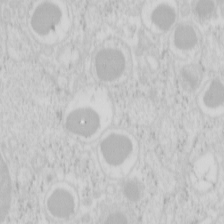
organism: Mouse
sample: Pancreas